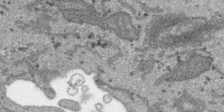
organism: Human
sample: Lung epithelial cells infected with SARS-CoV-2